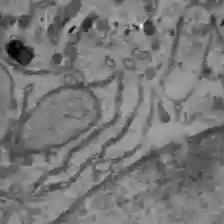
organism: C57BL Mouse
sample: Liver